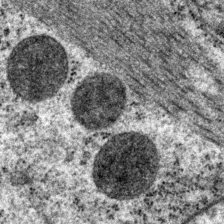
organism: P. pacificus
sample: Pharynx